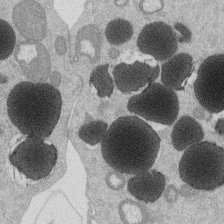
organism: Mouse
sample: Dividing mouse embryo 1 cell stage